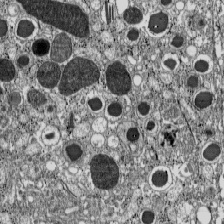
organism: C57BL Mouse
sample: Pancreatic islet